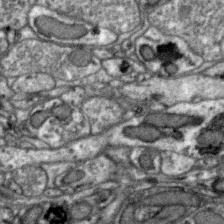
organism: Zebra finch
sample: Brain